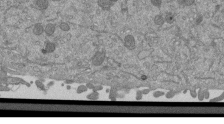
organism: Mouse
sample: ED-1 cell nuclei; centrioles